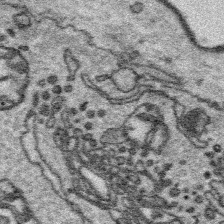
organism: Platynereis dumerilii